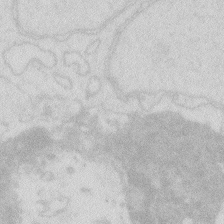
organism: Zebrafish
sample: Macrophage